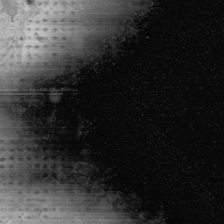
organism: Human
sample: Mitochondria in U2OS cells